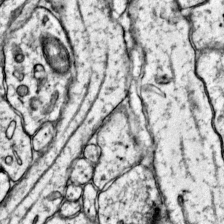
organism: Mouse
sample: Primary visual cortex